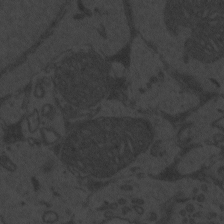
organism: Zebrafish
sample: Macrophage infected with Toxoplasma gondii